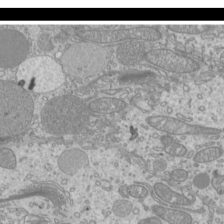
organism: Mouse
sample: Cilia; mouse epididymis